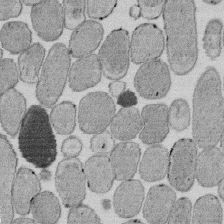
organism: E. coli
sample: Bacterial nucleoid